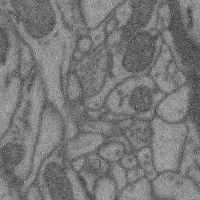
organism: Mouse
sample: Cerebral cortex